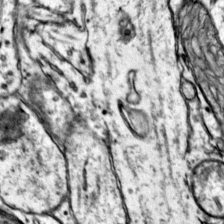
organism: Mouse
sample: Primary visual cortex